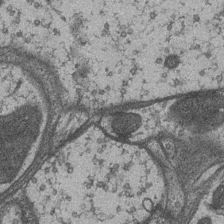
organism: Drosophila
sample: Optic medulla